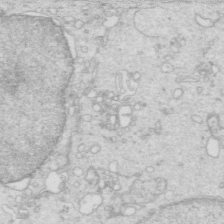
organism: Mouse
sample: Multiciliated cells